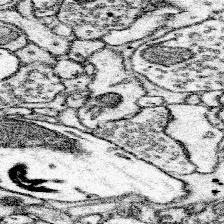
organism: Mouse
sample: Somatosensory cortex neuropil